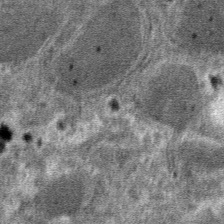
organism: Mouse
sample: Mouse hepatocytes